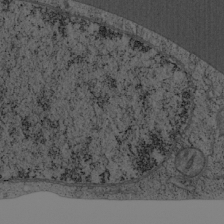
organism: African green monkey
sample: COS-7 cells